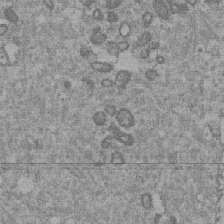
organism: Mouse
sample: Dividing mouse embryo 1 cell stage